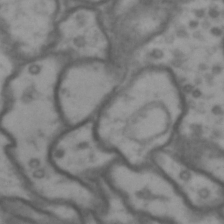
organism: Drosophila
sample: Brain